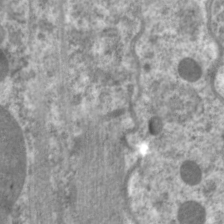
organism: C. elegans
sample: Pharynx